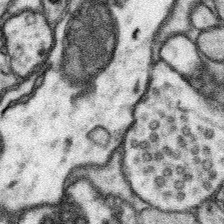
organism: Mouse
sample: Somatosensory cortex neuropil